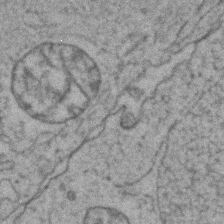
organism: Zebrafish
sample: Zebrafish embryo